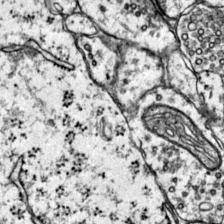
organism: Mouse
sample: Primary visual cortex